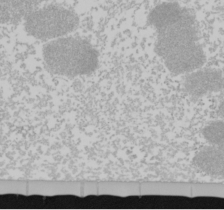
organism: Mouse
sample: Cancer cell death in ED-1 cells